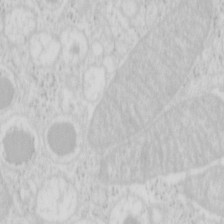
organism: Mouse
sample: Pancreas